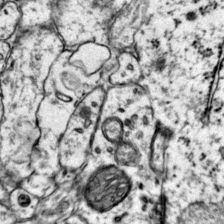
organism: Mouse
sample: Primary visual cortex